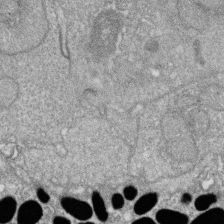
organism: Zebrafish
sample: Cilia; retinal pigment epithelium